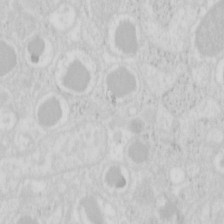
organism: Mouse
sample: Pancreas